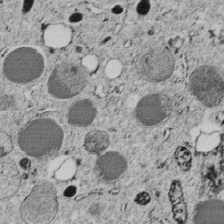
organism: C. elegans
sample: C. elegans embryo early stage